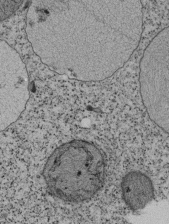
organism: Tetrahymena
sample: Cilia in tetrahymena